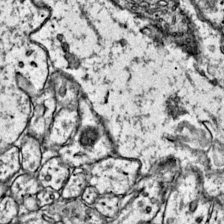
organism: Mouse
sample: Primary visual cortex